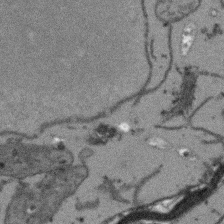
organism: Arabidopsis thaliana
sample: Root tip